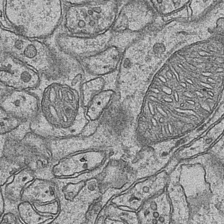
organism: Mouse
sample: CA1 Hippocampus